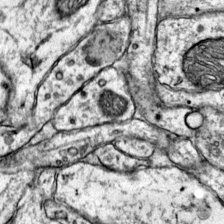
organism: Mouse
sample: Primary visual cortex